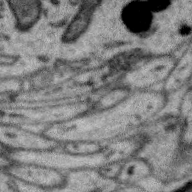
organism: Zebra finch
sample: Brain